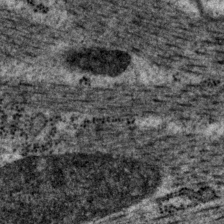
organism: P. pacificus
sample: Pharynx